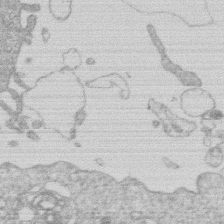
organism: Human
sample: Macrophage cells